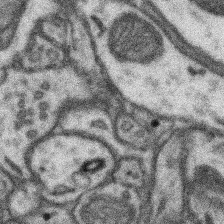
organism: Mouse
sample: Somatosensory cortex neuropil